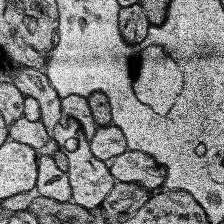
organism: Human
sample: Temporal Lobe